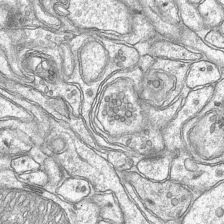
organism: Mouse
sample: CA1 Hippocampus